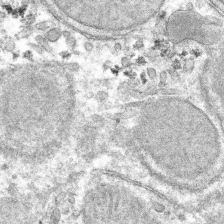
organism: Mouse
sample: Mouse hepatocytes